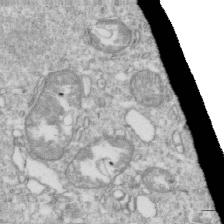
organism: Mouse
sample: Activated OT-1 CD8+ T cells